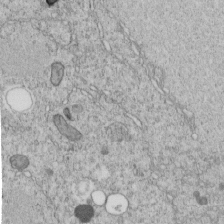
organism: C. elegans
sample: C. elegans embryo early stage